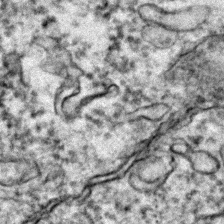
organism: Zebrafish